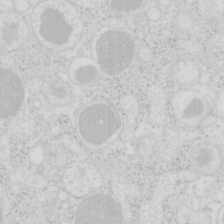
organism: Mouse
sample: Pancreas